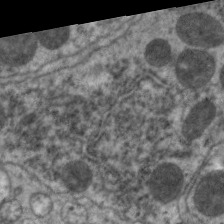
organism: C. elegans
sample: Pharynx